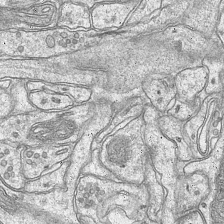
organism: Mouse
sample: CA1 Hippocampus